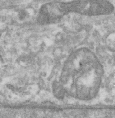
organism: Human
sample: Centriole in RPE cells